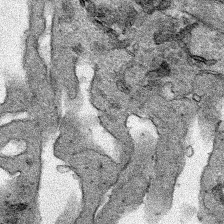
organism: Human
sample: Mitochondria in HCT116 cells